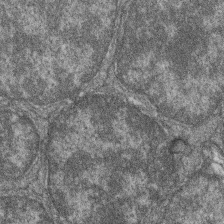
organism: Zebrafish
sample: Cilia; retinal pigment epithelium